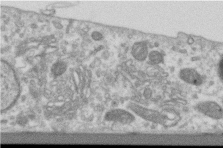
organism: Human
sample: Centriole in RPE cells